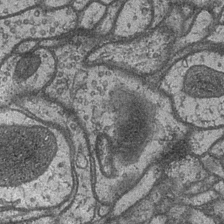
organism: Drosophila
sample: Optic medulla